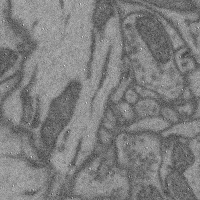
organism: Mouse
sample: Cerebral cortex